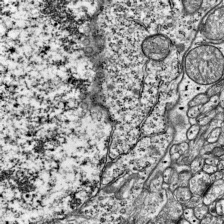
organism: Mouse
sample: Visual Cortex